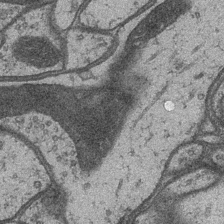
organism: Drosophila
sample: Optic medulla